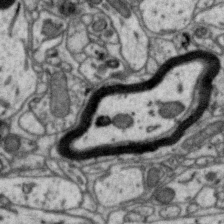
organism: Zebra finch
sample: Brain